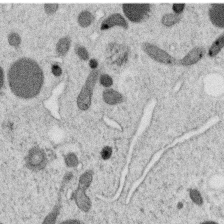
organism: C. elegans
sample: C. elegans oocyte; sperm cells